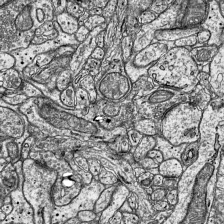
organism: Mouse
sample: Visual Cortex